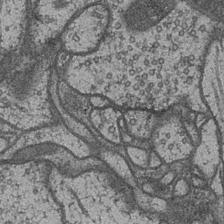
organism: Drosophila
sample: Optic medulla